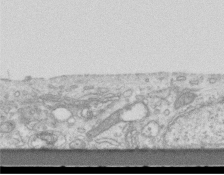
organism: Mouse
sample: Centriole in ependymal cells